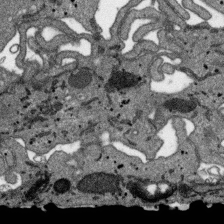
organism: Human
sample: Lung epithelial cells, uninfected (mock) control